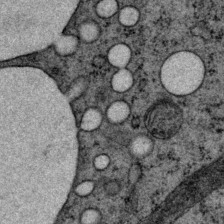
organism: P. pacificus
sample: Pharynx